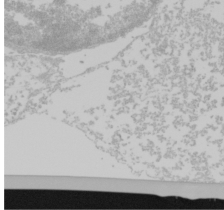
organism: Mouse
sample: Cancer cell death in ED-1 cells